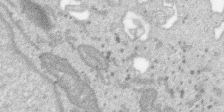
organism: Human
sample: Lung epithelial cells infected with SARS-CoV-2